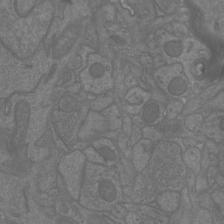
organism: Mouse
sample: Cortical neurons